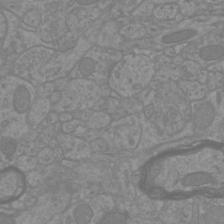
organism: Mouse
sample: Cortical neurons